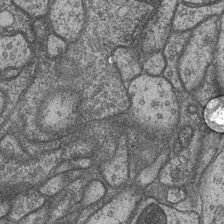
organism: Drosophila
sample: Optic medulla